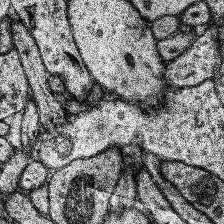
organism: Human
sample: Temporal Lobe